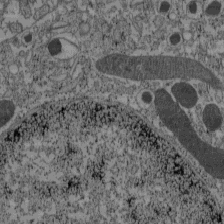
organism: C57BL Mouse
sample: Pancreatic islet